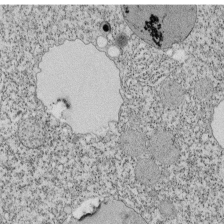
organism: Tetrahymena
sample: Cilia in tetrahymena